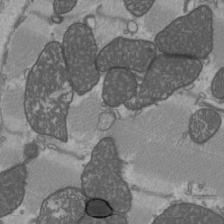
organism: C57BL Mouse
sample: Heart